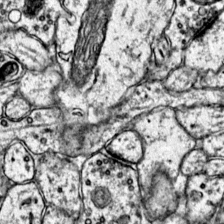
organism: Mouse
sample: Primary visual cortex